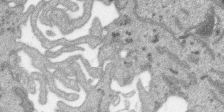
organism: Human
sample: Lung epithelial cells infected with SARS-CoV-2